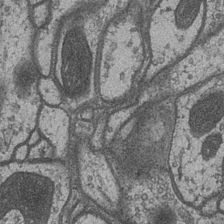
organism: Drosophila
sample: Optic medulla